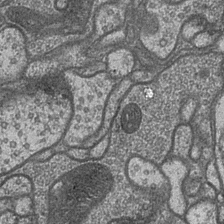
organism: Drosophila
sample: Optic medulla